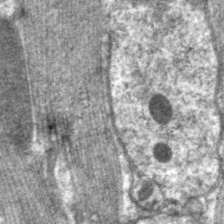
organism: C. elegans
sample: Pharynx